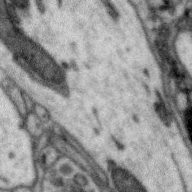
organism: Zebra finch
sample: Brain